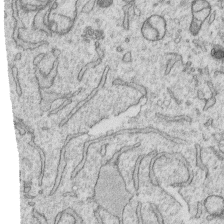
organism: Human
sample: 1205lu cells